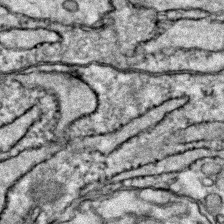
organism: Zebrafish